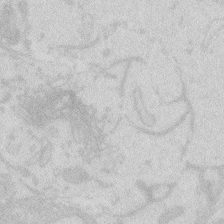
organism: Zebrafish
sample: Macrophage